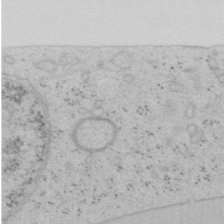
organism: Human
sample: HeLa cells